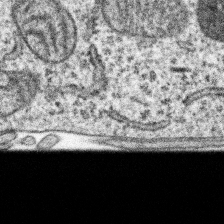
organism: Human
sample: HeLa cells